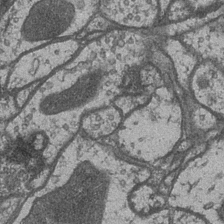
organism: Drosophila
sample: Optic medulla